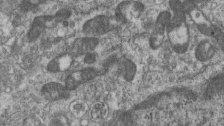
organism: Mouse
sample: Centriole in ependymal cells